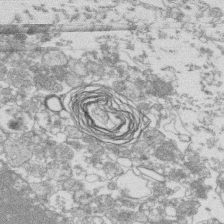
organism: Human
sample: HeLa cell HIV synapse